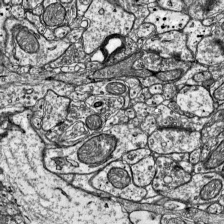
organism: Mouse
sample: Visual Cortex